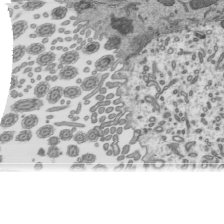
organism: Mouse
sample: Mouse epididymis efferent ductule cilia